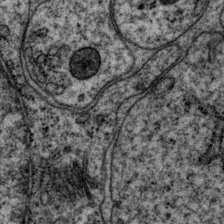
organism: P. pacificus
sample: Pharynx